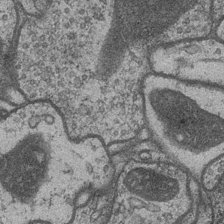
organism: Drosophila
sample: Optic medulla